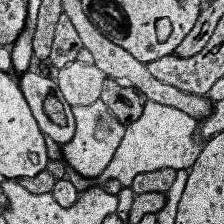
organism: Human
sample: Temporal Lobe